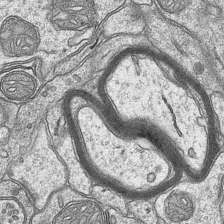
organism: Mouse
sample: CA1 Hippocampus